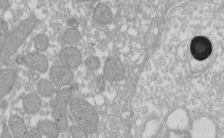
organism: Xenopus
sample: Cilia; centrioles in frog embryo cells